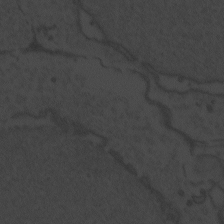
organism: Zebrafish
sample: Macrophage infected with Toxoplasma gondii